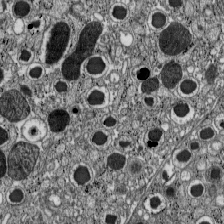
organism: C57BL Mouse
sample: Pancreatic islet